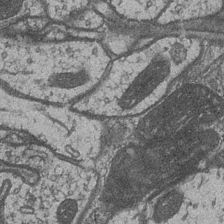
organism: Drosophila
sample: Optic medulla